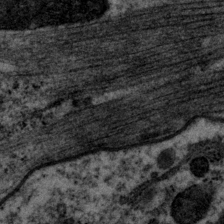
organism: P. pacificus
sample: Pharynx